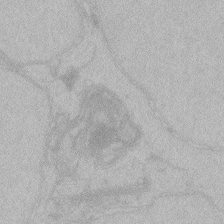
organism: Zebrafish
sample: Macrophage infected with Toxoplasma gondii